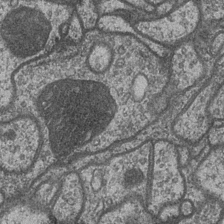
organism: Drosophila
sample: Optic medulla